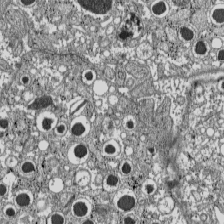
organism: C57BL Mouse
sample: Pancreatic islet